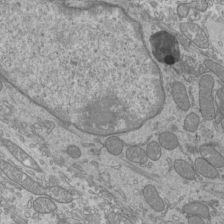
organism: Mouse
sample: Cilia; mouse epididymis